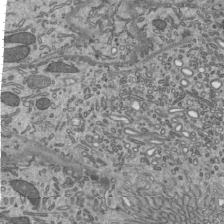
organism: Mouse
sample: Mouse epididymis efferent ductule cilia